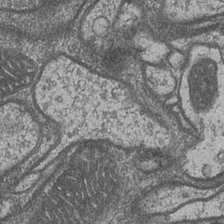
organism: Drosophila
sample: Optic medulla